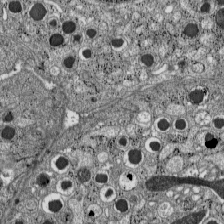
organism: C57BL Mouse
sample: Pancreatic islet